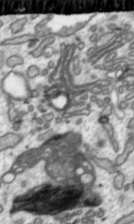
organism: Toxoplasma gondii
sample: Parasites in a vacuole inside a host cell